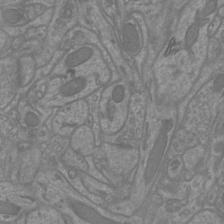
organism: Mouse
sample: Cortical neurons